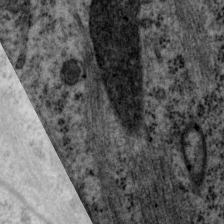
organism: P. pacificus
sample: Pharynx